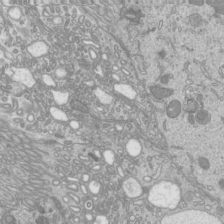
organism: Mouse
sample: Cilia; mouse epididymis